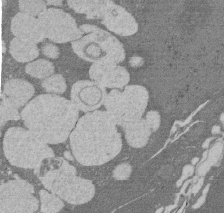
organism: Rat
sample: Salivary granule